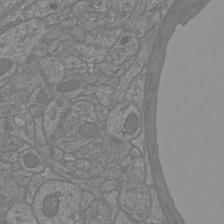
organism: Mouse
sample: Cortical neurons